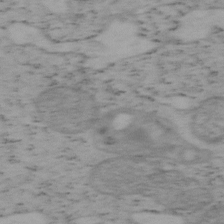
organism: Mouse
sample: OT-I killer T cells with ID8 ovarian cancer cells